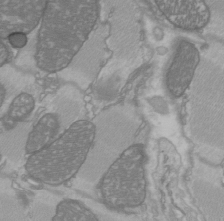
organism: C57BL Mouse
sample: Heart